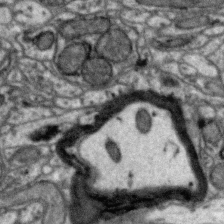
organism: Zebra finch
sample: Brain